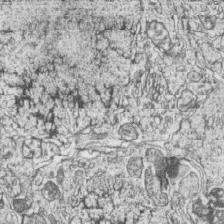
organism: Zebrafish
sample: synaptic ribbons in rod cells and cone cells